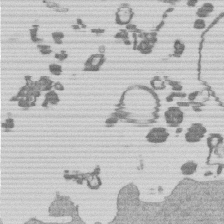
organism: Mouse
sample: Dividing mouse embryo 1 cell stage